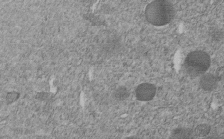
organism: C. elegans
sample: C. elegans embryo early stage